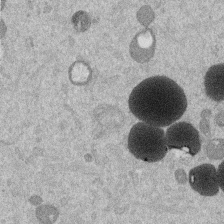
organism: Mouse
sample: Dividing mouse embryo 1 cell stage